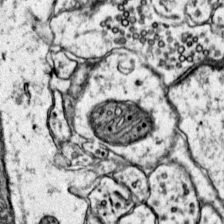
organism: Mouse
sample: Primary visual cortex